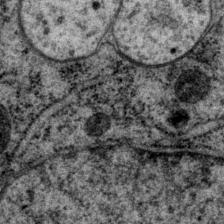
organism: P. pacificus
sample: Pharynx